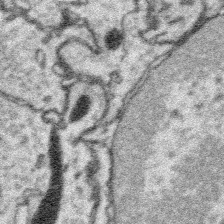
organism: Platynereis dumerilii